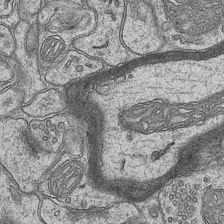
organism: Mouse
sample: CA1 Hippocampus